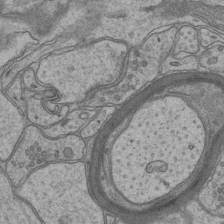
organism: Mouse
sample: CA1 Hippocampus